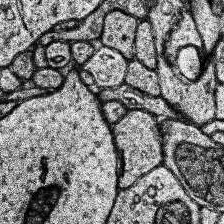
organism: Human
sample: Temporal Lobe